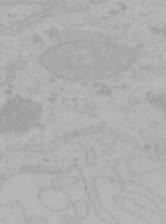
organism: Mouse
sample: Choroid plexus